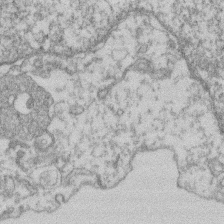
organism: Mouse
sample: T cell stromal cell synapse